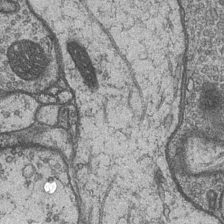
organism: Drosophila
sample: Optic medulla